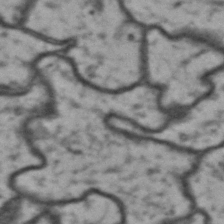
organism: Drosophila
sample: Brain